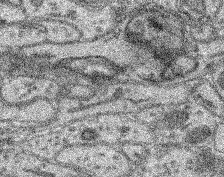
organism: Mouse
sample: Retina